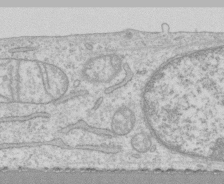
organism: Human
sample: CRL-1474